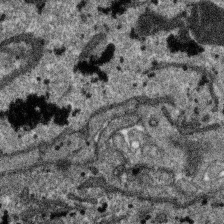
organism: Human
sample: Lung epithelial cells infected with SARS-CoV-2